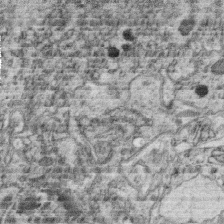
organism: C. elegans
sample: C. elegans oocyte; sperm cells